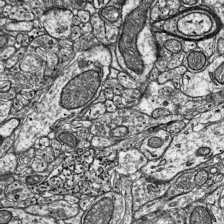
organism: Mouse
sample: Visual Cortex